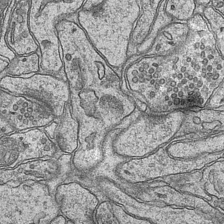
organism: Mouse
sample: CA1 Hippocampus